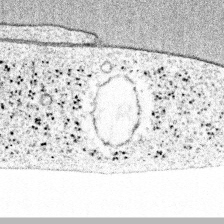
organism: Human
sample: HeLa cells